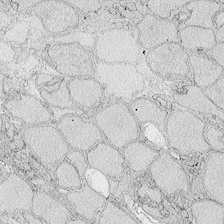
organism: Zebrafish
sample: Whole-Brain